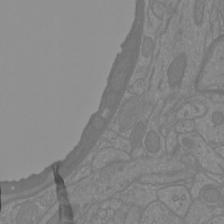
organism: Mouse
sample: Cortical neurons